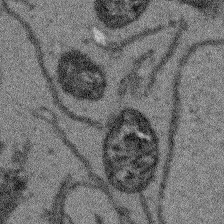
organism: Arabidopsis thaliana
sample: Root tip